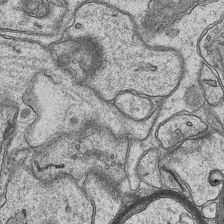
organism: Mouse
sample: CA1 Hippocampus